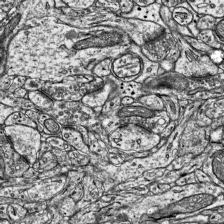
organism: Mouse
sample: Visual Cortex